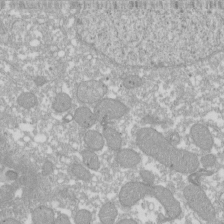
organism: Xenopus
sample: Cilia; centrioles in frog embryo cells